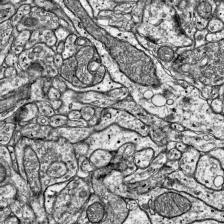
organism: Mouse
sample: Visual Cortex